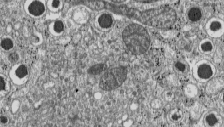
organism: C57BL Mouse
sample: Pancreatic islet